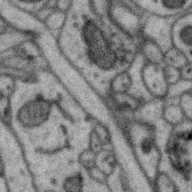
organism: Zebra finch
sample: Brain